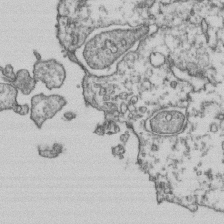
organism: Human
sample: Activated Jurkat CD4+ T cells